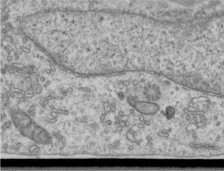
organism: Human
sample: Centriole in RPE cells